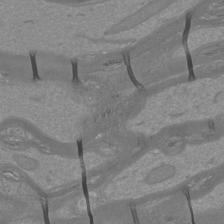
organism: Mouse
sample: Cortical neurons